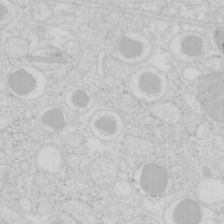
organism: Mouse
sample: Pancreas